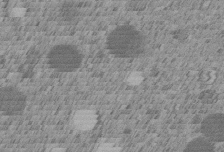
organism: C. elegans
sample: C. elegans embryo early stage